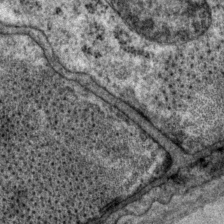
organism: P. pacificus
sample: Pharynx